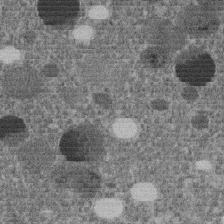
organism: C. elegans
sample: C. elegans embryo early stage